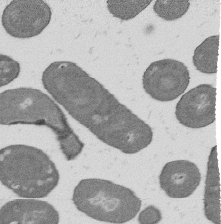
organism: B. subtilis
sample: Bacterial spore